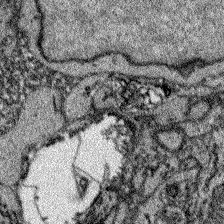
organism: Zebrafish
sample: Larval olfactory bulb